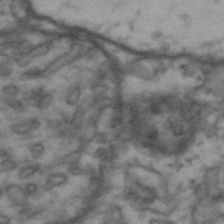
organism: Drosophila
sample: Brain